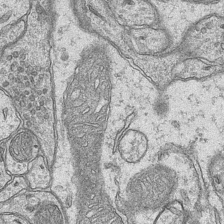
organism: Mouse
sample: CA1 Hippocampus